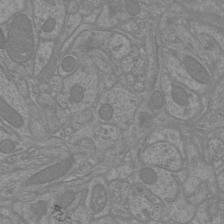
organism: Mouse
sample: Cortical neurons